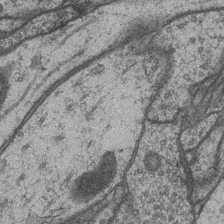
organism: Drosophila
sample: Optic medulla